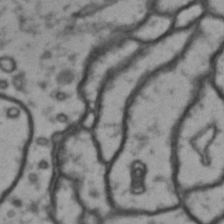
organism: Drosophila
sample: Brain